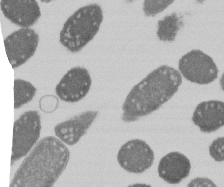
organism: E. coli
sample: Bacterial nucleoid